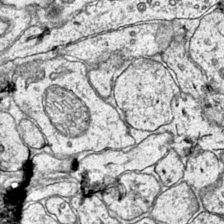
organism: Mouse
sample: Primary visual cortex